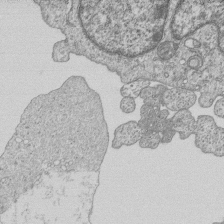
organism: Human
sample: MDA-MB-231 cells